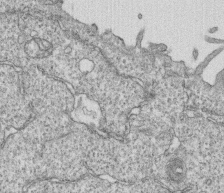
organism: Human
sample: HeLa cell HIV synapse